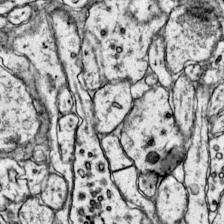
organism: Mouse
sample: Primary visual cortex